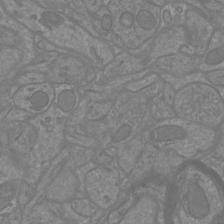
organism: Mouse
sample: Cortical neurons